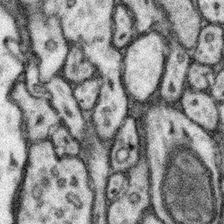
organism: Mouse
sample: Somatosensory cortex neuropil